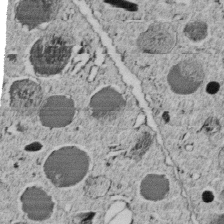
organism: C. elegans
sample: C. elegans embryo early stage